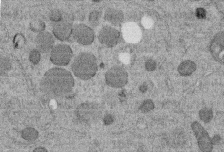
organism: C. elegans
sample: C. elegans embryo early stage